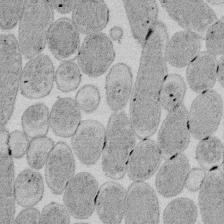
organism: E. coli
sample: Bacterial nucleoid